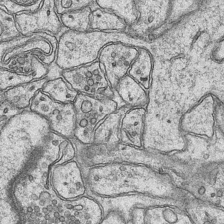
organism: Mouse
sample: CA1 Hippocampus